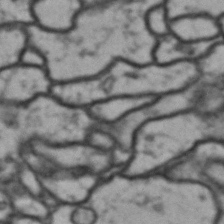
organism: Drosophila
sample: Brain